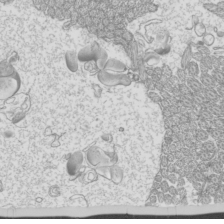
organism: Mouse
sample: Cilia; mouse epididymis